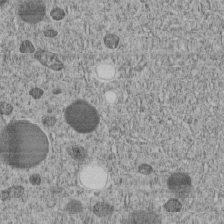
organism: C. elegans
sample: C. elegans embryo early stage